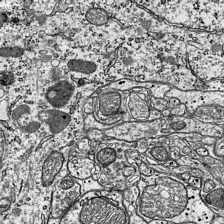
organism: Mouse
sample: Visual Cortex